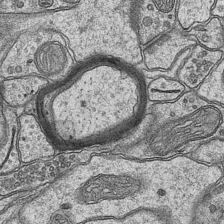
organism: Mouse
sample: CA1 Hippocampus